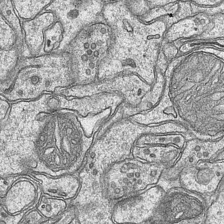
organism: Mouse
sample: CA1 Hippocampus